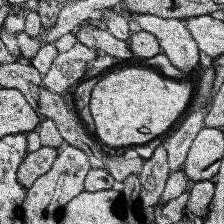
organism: Human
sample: Temporal Lobe